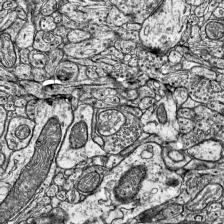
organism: Mouse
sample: Visual Cortex